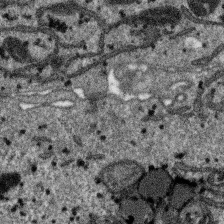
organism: Human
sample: Lung epithelial cells infected with SARS-CoV-2